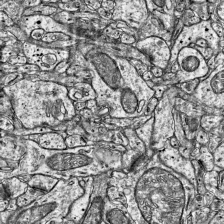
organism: Mouse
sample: Visual Cortex